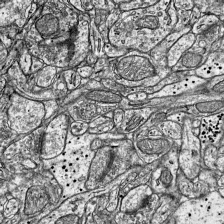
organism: Mouse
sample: Visual Cortex